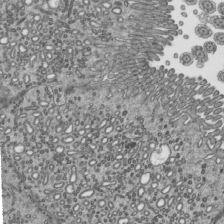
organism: Mouse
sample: Mouse epididymis efferent ductule cilia